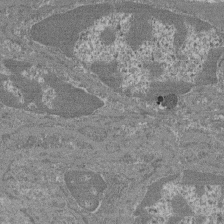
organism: Mouse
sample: Glomerulus